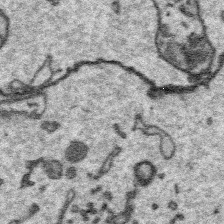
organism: Platynereis dumerilii